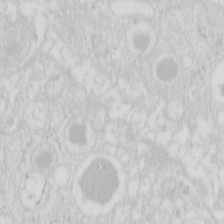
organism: Mouse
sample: Pancreas